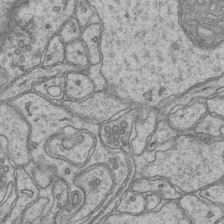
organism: Mouse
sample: CA1 Hippocampus